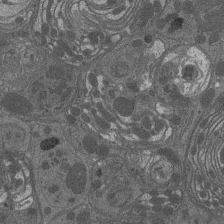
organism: Drosophila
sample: Antenna